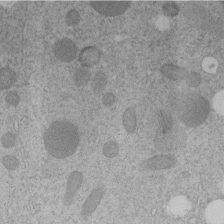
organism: C. elegans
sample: C. elegans embryo early stage